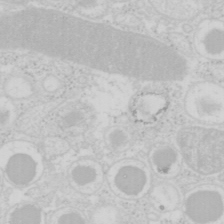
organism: Mouse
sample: Pancreas